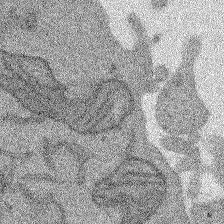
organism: Human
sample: HeLa cells